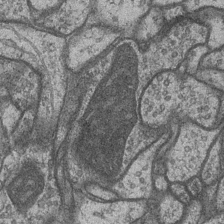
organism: Drosophila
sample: Optic medulla